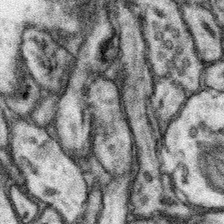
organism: Mouse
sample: Somatosensory cortex neuropil